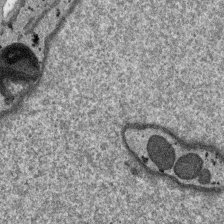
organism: Human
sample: Lung epithelial cells, uninfected (mock) control